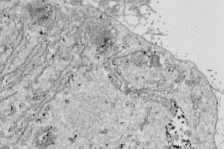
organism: Drosophila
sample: Cell division; meiosis; drosophila spermatocytes